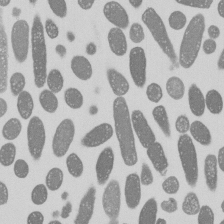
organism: E. coli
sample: Bacterial nucleoid